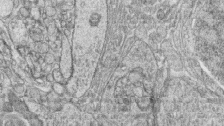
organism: Zebrafish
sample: synaptic ribbons in rod cells and cone cells